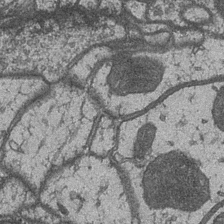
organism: Drosophila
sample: Optic medulla